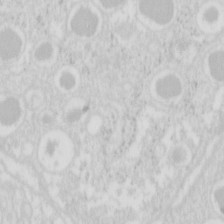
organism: Mouse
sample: Pancreas